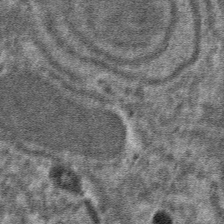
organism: Mouse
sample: Mouse hepatocytes